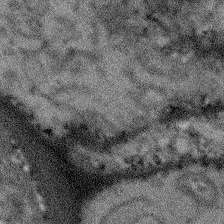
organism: Arabidopsis thaliana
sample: Root tip